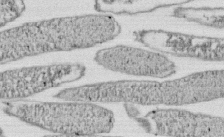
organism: E. coli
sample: Bacterial nucleoid